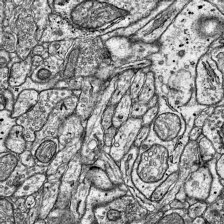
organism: Mouse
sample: Visual Cortex